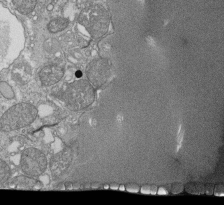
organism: Tetrahymena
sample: Cilia in tetrahymena